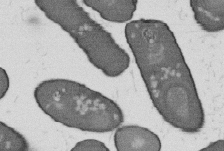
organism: B. subtilis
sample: Bacterial spore